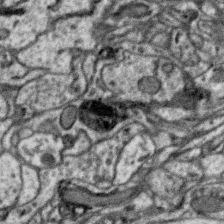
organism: Zebra finch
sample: Brain